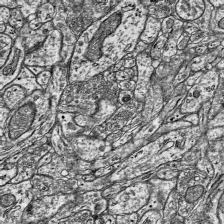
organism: Mouse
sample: Visual Cortex